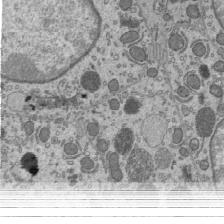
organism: Mouse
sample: Mouse epididymis efferent ductule cilia